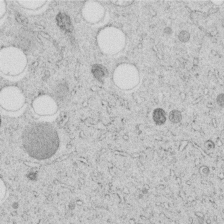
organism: C. elegans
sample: C. elegans embryo early stage